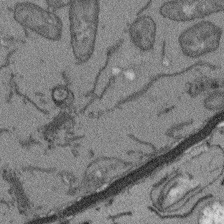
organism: Arabidopsis thaliana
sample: Root tip